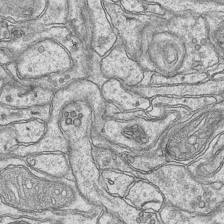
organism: Mouse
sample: CA1 Hippocampus